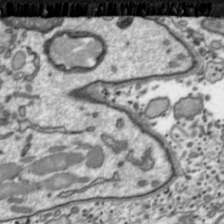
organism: Toxoplasma gondii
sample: Parasites in a vacuole inside a host cell